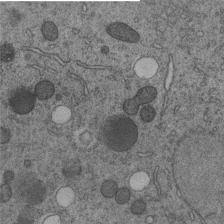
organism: C. elegans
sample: C. elegans embryo early stage